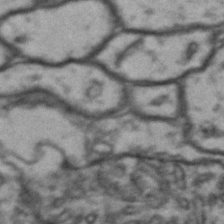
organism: Drosophila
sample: Brain